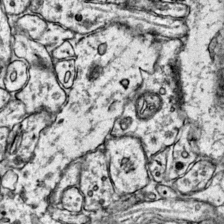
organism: Mouse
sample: Primary visual cortex